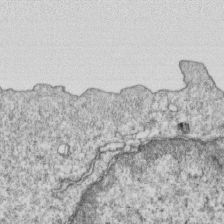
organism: Mouse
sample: Activated OT-1 CD8+ T cells